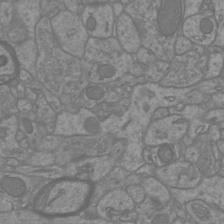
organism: Mouse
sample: Cortical neurons